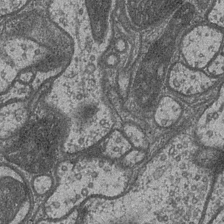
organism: Drosophila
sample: Optic medulla